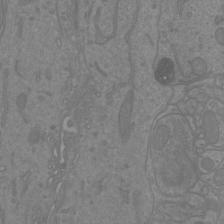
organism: Mouse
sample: Cortical neurons